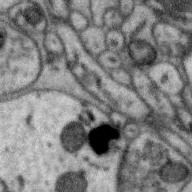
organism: Zebra finch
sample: Brain